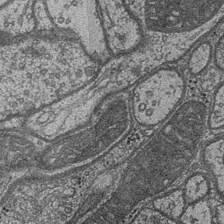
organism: Drosophila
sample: Optic medulla